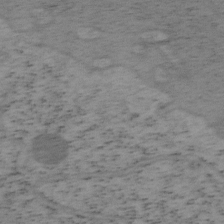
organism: Mouse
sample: OT-I killer T cells with ID8 ovarian cancer cells